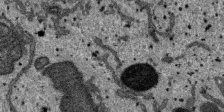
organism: Human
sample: Lung epithelial cells, uninfected (mock) control